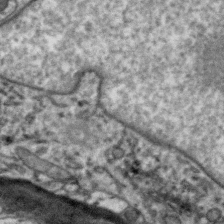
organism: Zebra finch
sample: Brain